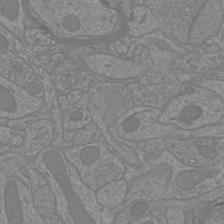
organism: Mouse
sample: Cortical neurons